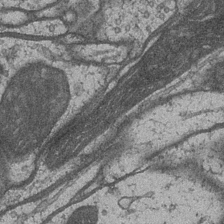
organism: Drosophila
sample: Optic medulla